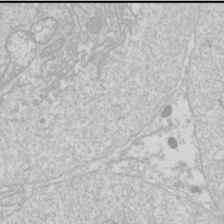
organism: Drosophila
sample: Cell division; meiosis; drosophila spermatocytes